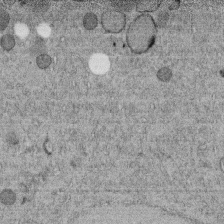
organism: C. elegans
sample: C. elegans embryo early stage